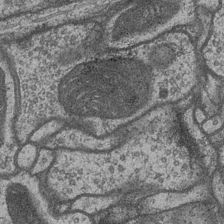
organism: Drosophila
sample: Optic medulla